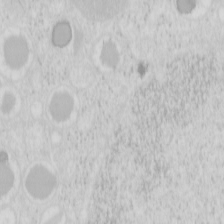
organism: Mouse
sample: Pancreas